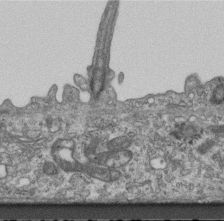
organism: Mouse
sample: Centriole in ependymal cells